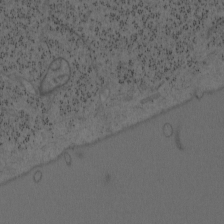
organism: Mouse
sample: OT-I killer T cells with ID8 ovarian cancer cells